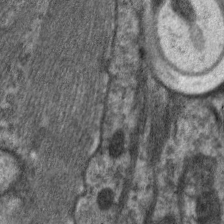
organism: C. elegans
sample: Pharynx